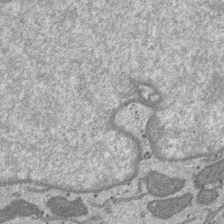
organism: Human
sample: Lung epithelial cells infected with SARS-CoV-2